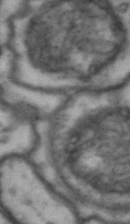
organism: Drosophila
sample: Brain